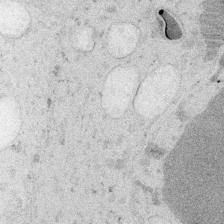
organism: Embia sp.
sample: Silk gland